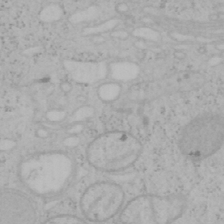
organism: Mouse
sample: OT-I killer T cells with ID8 ovarian cancer cells